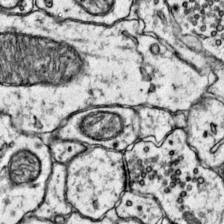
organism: Mouse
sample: Primary visual cortex